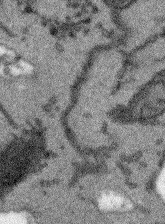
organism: Arabidopsis thaliana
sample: Root tip